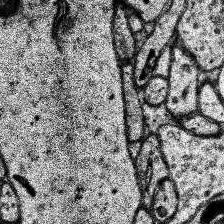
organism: Human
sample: Temporal Lobe